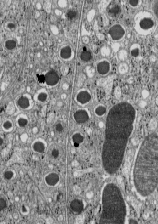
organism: C57BL Mouse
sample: Pancreatic islet